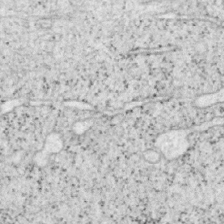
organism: Mouse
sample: OT-I killer T cells with ID8 ovarian cancer cells